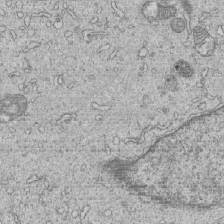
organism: Human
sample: MDA-MB-231 cells